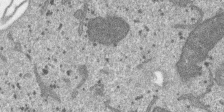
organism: Human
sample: Lung epithelial cells infected with SARS-CoV-2